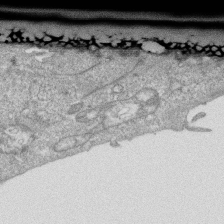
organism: Human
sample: HeLa cell HIV synapse